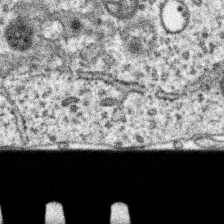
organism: Human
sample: HeLa cells